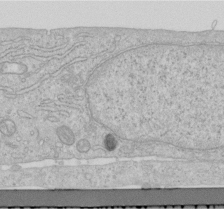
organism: Human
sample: Centriole in RPE cells